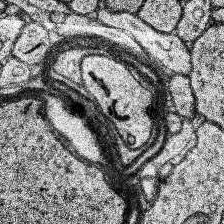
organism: Human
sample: Temporal Lobe